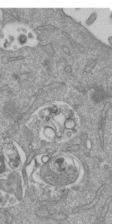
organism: Mouse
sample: ED-1 cell nuclei; centrioles